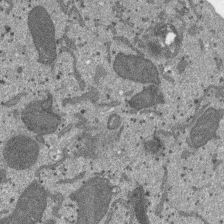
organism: Human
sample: Lung epithelial cells infected with SARS-CoV-2